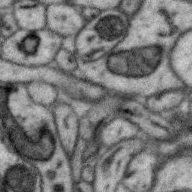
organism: Zebra finch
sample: Brain